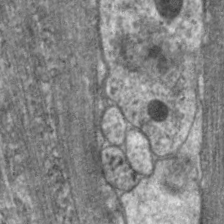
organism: C. elegans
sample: Pharynx